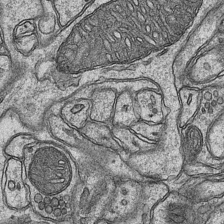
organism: Mouse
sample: CA1 Hippocampus